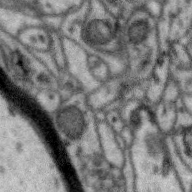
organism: Zebra finch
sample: Brain